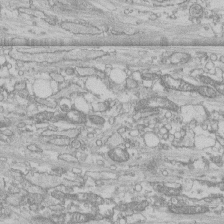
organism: Human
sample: CRL-1474